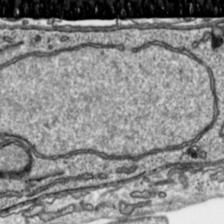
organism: Toxoplasma gondii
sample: Parasites in a vacuole inside a host cell